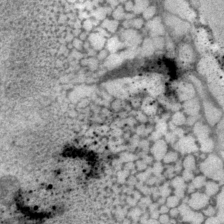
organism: P. pacificus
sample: Pharynx